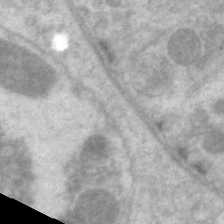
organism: C. elegans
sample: Pharynx